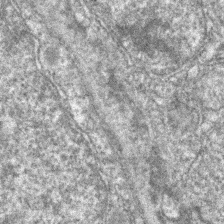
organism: Zebrafish